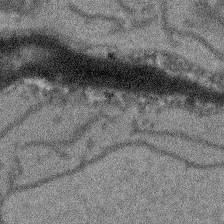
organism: Arabidopsis thaliana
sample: Root tip